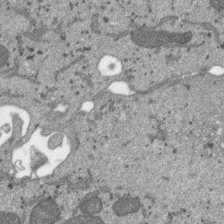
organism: Human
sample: Lung epithelial cells infected with SARS-CoV-2